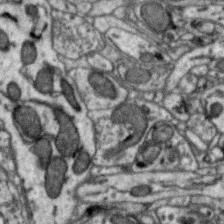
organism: Zebra finch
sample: Brain